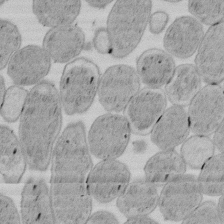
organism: E. coli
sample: Bacterial nucleoid